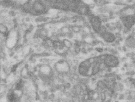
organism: Human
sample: Centriole in RPE cells